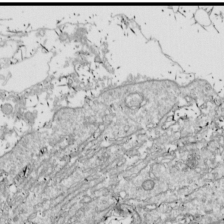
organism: Drosophila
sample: Cell division; meiosis; drosophila spermatocytes